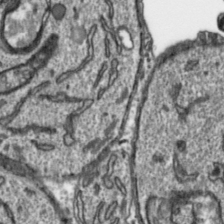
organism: Toxoplasma gondii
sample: Parasites in a vacuole inside a host cell